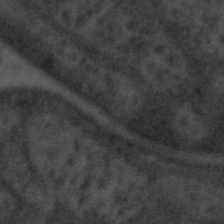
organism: Tuwongella immobilis